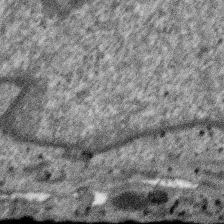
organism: Human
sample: Lung epithelial cells infected with SARS-CoV-2